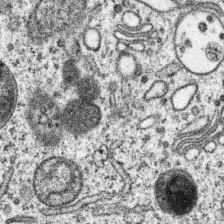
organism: Human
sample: HeLa cells